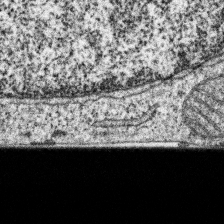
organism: Human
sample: HeLa cells